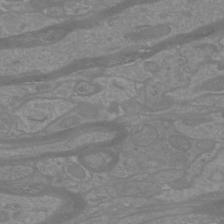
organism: Mouse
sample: Cortical neurons